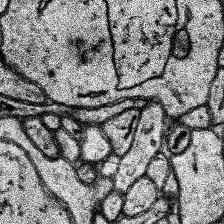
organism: Human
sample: Temporal Lobe